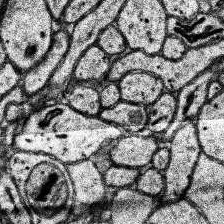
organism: Human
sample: Temporal Lobe